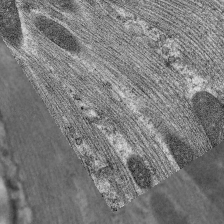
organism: C. elegans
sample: Pharynx